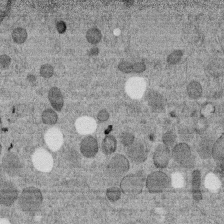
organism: C. elegans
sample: C. elegans embryo early stage